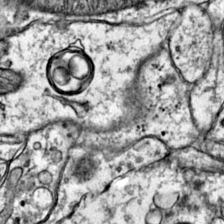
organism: Mouse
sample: Primary visual cortex